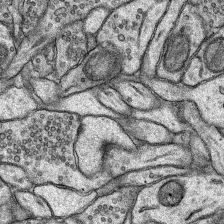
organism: Rat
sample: Hippocampus